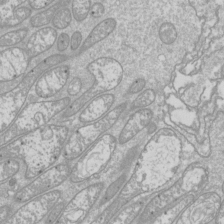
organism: Drosophila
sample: Cell division; meiosis; drosophila spermatocytes